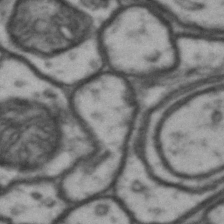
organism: Drosophila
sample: Brain